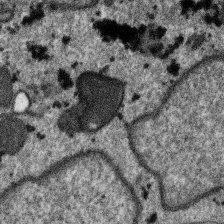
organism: Human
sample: Lung epithelial cells infected with SARS-CoV-2